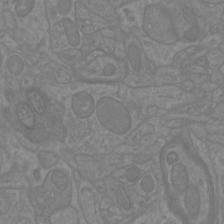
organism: Mouse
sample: Cortical neurons